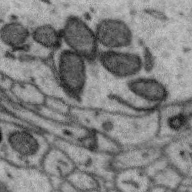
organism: Zebra finch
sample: Brain